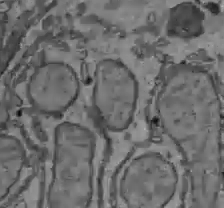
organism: C57BL Mouse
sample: Liver